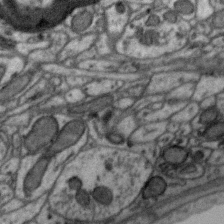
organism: Zebra finch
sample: Brain